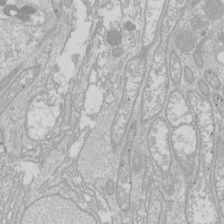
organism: Drosophila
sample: Cell division; meiosis; drosophila spermatocytes